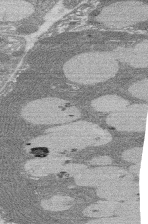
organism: Rat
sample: Salivary granule